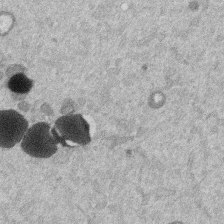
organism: Mouse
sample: Dividing mouse embryo 1 cell stage